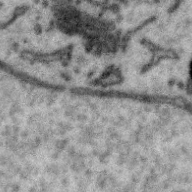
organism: Zebra finch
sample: Brain